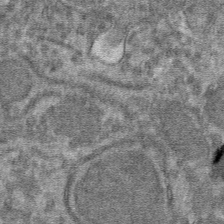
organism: Mouse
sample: Mouse hepatocytes